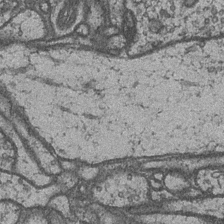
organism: Drosophila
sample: Optic medulla